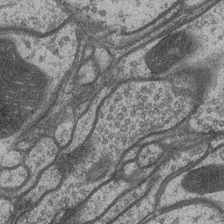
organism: Drosophila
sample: Optic medulla